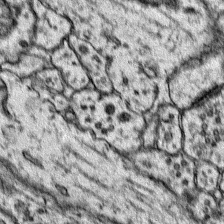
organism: Mouse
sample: Primary visual cortex